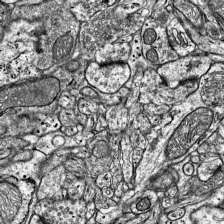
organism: Mouse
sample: Visual Cortex